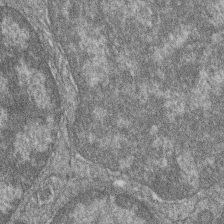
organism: Zebrafish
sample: Cilia; retinal pigment epithelium